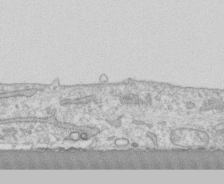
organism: Human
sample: CRL-1474